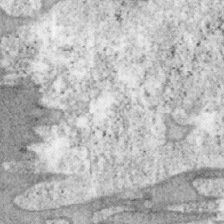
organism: Mouse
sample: OT-I killer T cells with ID8 ovarian cancer cells